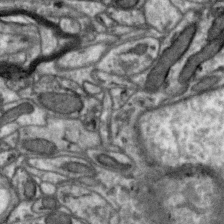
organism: Zebra finch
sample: Brain